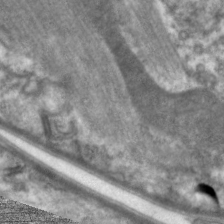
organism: C. elegans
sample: Pharynx